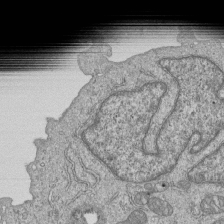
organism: Human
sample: MDA-MB-231 cells